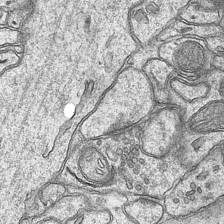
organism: Mouse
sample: CA1 Hippocampus